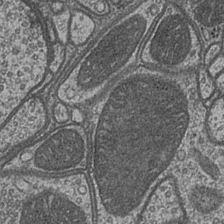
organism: Drosophila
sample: Optic medulla